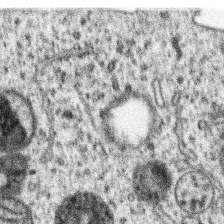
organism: Human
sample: HeLa cells